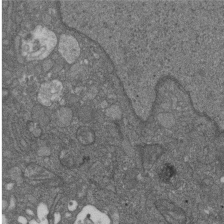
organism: Drosophila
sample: Nephrocyte